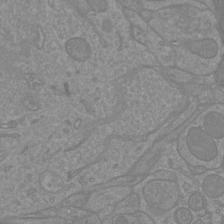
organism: Mouse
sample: Cortical neurons